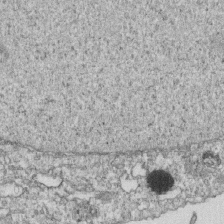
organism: Human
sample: HeLa cell HIV synapse